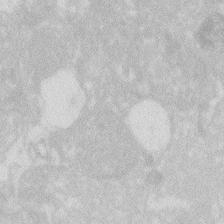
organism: Zebrafish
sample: Macrophage